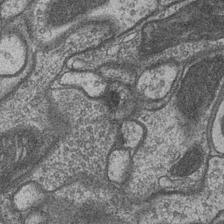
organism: Drosophila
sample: Optic medulla